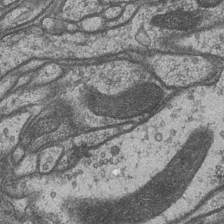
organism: Drosophila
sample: Optic medulla